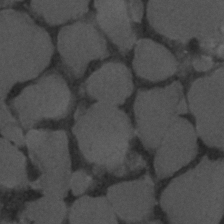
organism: C. elegans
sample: C. elegans embryo